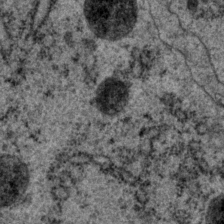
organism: P. pacificus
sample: Pharynx